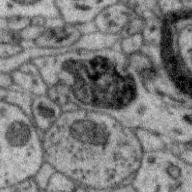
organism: Zebra finch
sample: Brain